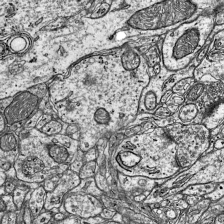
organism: Mouse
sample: Visual Cortex